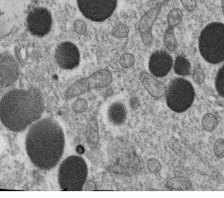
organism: C. elegans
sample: C. elegans oocyte; sperm cells